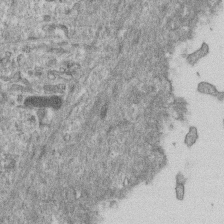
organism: Mouse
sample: Centriole in ependymal cells